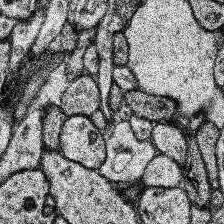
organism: Human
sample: Temporal Lobe